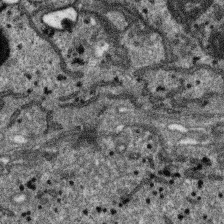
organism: Human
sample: Lung epithelial cells infected with SARS-CoV-2